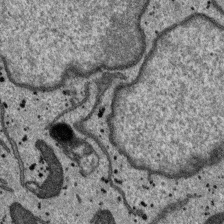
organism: Human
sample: Lung epithelial cells, uninfected (mock) control